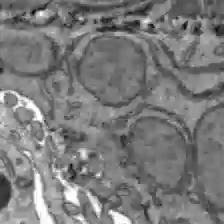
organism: C57BL Mouse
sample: Liver